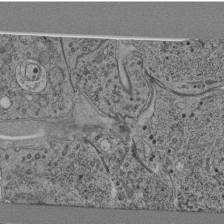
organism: C. elegans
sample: C. elegans pharynx